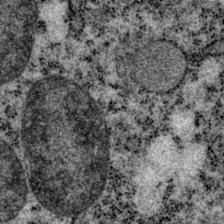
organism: P. pacificus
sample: Pharynx